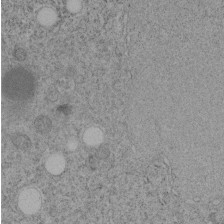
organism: C. elegans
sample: C. elegans embryo early stage